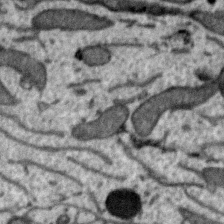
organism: Zebra finch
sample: Brain